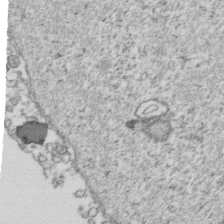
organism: Human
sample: Activated Jurkat CD4+ T cells